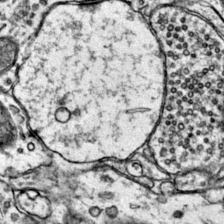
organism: Mouse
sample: Primary visual cortex